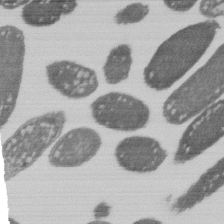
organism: E. coli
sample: Bacterial nucleoid